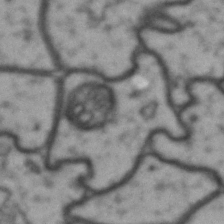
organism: Drosophila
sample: Brain